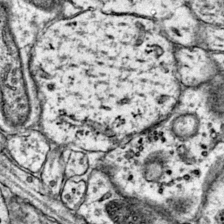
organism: Mouse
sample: Primary visual cortex